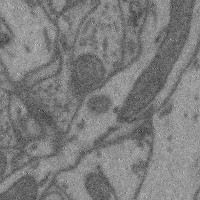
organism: Mouse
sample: Cerebral cortex